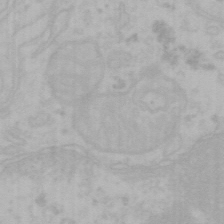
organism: Mouse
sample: Choroid plexus